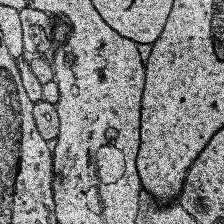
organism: Human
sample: Temporal Lobe